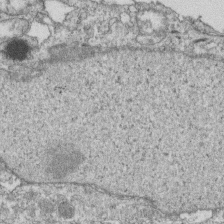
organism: Human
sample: HeLa cell HIV synapse